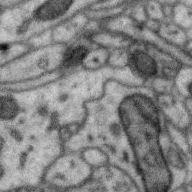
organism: Zebra finch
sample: Brain